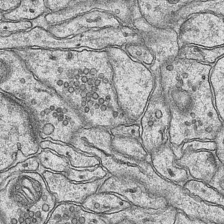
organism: Mouse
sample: CA1 Hippocampus